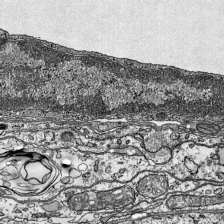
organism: Mouse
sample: Visual Cortex